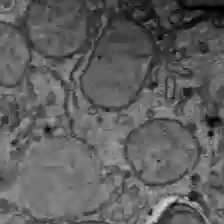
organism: C57BL Mouse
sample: Liver